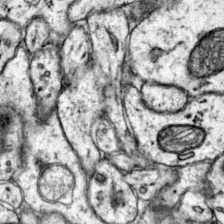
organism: Mouse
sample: Primary visual cortex